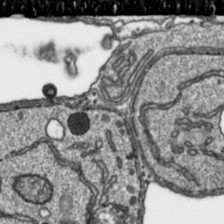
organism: Toxoplasma gondii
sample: Parasites in a vacuole inside a host cell